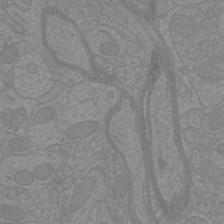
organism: Mouse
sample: Cortical neurons